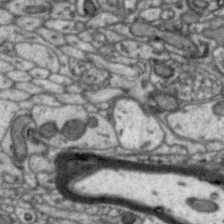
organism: Zebra finch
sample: Brain